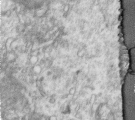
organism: Human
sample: Centriole in RPE cells